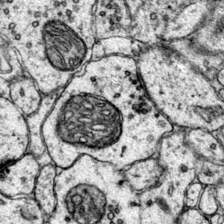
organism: Mouse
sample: Primary visual cortex